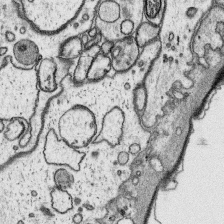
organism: Platynereis dumerilii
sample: Parapodia